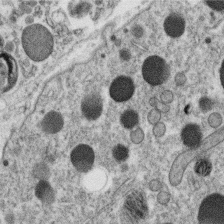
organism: C. elegans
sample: C. elegans oocyte; sperm cells